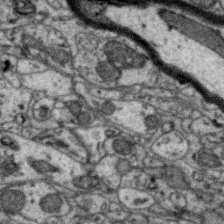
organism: Zebra finch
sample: Brain